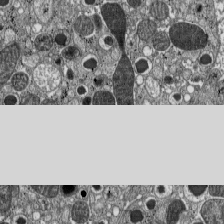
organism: C57BL Mouse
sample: Pancreatic islet